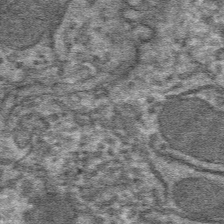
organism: Mouse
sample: Mouse hepatocytes